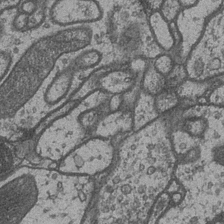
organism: Drosophila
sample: Optic medulla